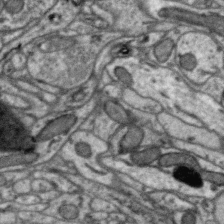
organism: Zebra finch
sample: Brain